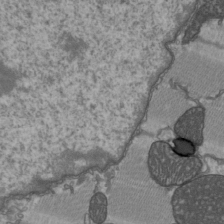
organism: C57BL Mouse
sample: Heart